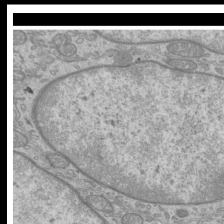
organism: Mouse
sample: Cilia; mouse epididymis